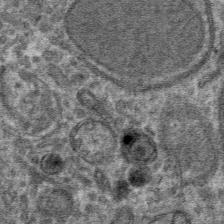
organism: Mouse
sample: Mouse hepatocytes